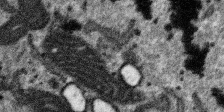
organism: Human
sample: Lung epithelial cells infected with SARS-CoV-2